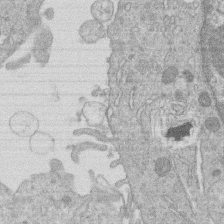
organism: Human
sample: Macrophage cells